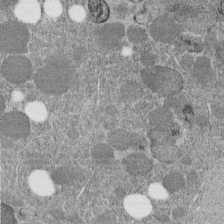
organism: C. elegans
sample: C. elegans embryo early stage